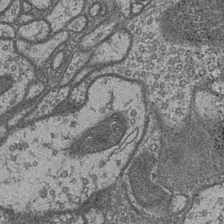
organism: Drosophila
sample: Optic medulla